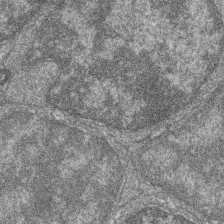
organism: Zebrafish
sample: Cilia; retinal pigment epithelium